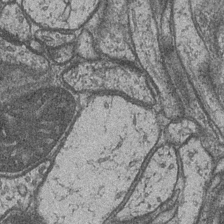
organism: Drosophila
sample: Optic medulla